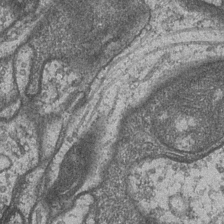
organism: Drosophila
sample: Optic medulla